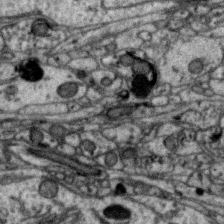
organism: Zebra finch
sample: Brain